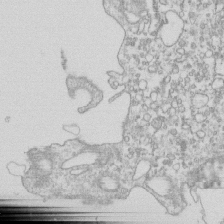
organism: Mouse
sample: Macrophages